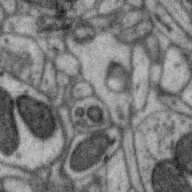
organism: Zebra finch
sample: Brain